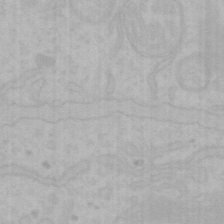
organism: Mouse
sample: Choroid plexus